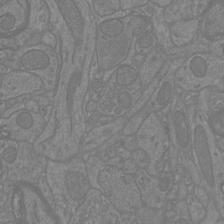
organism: Mouse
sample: Cortical neurons